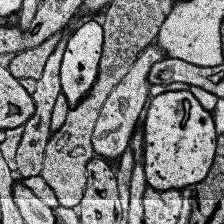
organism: Human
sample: Temporal Lobe